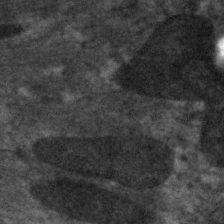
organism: C. elegans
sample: Pharynx